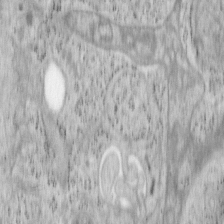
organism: Human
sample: HeLa cells